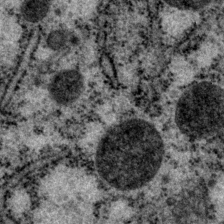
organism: P. pacificus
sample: Pharynx